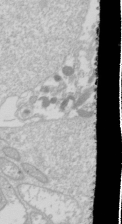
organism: Drosophila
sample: Cell division; meiosis; drosophila spermatocytes